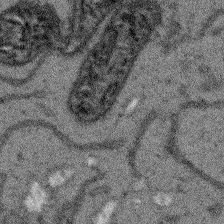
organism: Arabidopsis thaliana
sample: Root tip